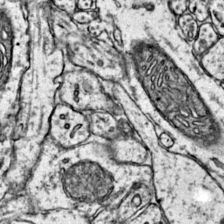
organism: Mouse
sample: Primary visual cortex